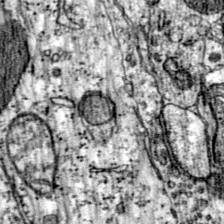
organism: Mouse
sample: Primary visual cortex